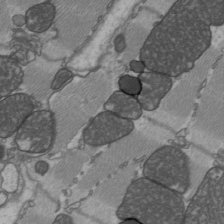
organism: C57BL Mouse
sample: Heart